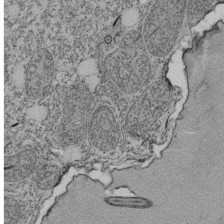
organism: Tetrahymena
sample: Cilia in tetrahymena